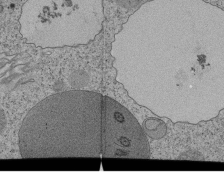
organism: Tetrahymena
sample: Cilia in tetrahymena